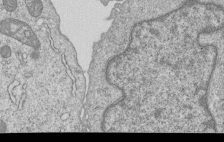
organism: Human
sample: MDA-MB-231 cells